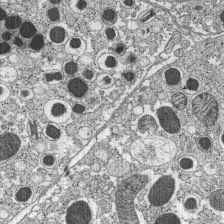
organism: C57BL Mouse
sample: Pancreatic islet